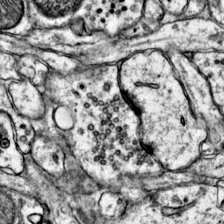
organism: Mouse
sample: Primary visual cortex